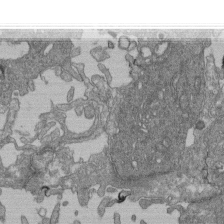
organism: Human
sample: Retinal organoid Rod and Cone cells